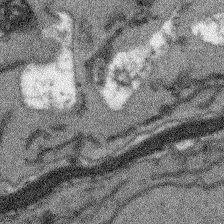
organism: Arabidopsis thaliana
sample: Root tip